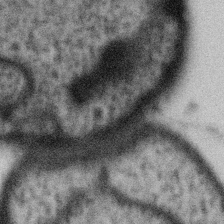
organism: Gemmata obscuriglobus